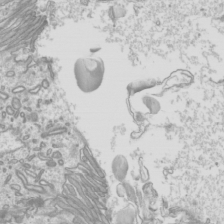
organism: Mouse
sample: Cilia; mouse epididymis